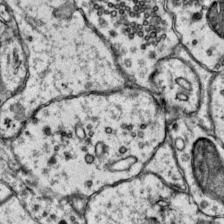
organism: Mouse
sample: Primary visual cortex